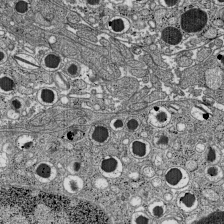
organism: C57BL Mouse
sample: Pancreatic islet